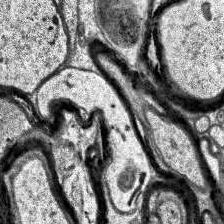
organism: Human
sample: Temporal Lobe